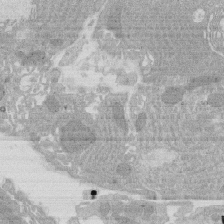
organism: Rat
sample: Salivary granule